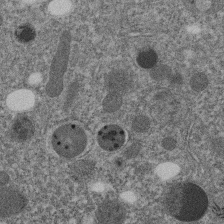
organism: C. elegans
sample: C. elegans embryo early stage